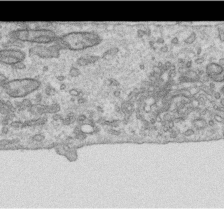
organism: Human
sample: Centriole in RPE cells